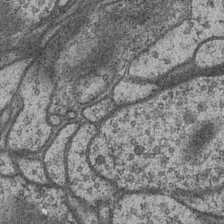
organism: Drosophila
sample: Optic medulla